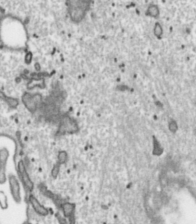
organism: Toxoplasma gondii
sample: Parasites in a vacuole inside a host cell